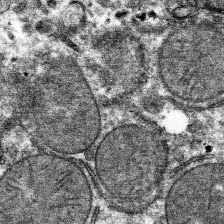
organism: Mouse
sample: Mouse hepatocytes